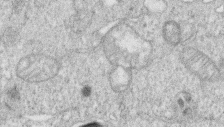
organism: Human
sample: HeLa cell HIV synapse